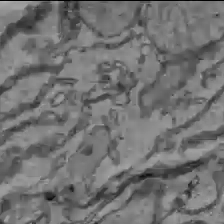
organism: C57BL Mouse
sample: Liver